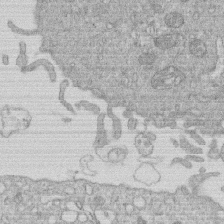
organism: Human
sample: Macrophage cells